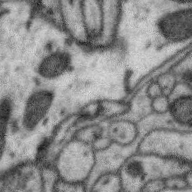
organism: Zebra finch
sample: Brain